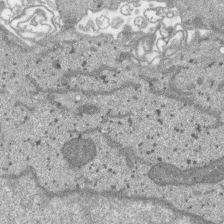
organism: Human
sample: Lung epithelial cells infected with SARS-CoV-2